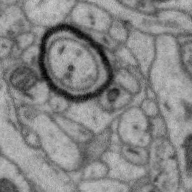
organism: Zebra finch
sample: Brain